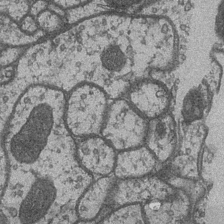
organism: Drosophila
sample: Optic medulla